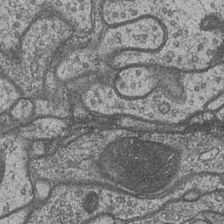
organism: Drosophila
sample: Optic medulla